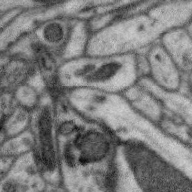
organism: Zebra finch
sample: Brain